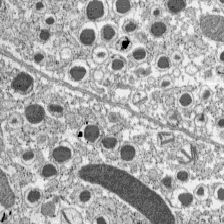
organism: C57BL Mouse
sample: Pancreatic islet